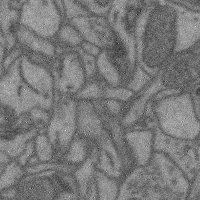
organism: Mouse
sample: Cerebral cortex